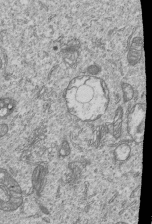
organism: Human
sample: MDA-MB-231 cells